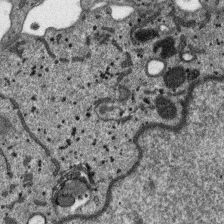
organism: Human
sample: Lung epithelial cells infected with SARS-CoV-2